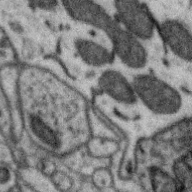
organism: Zebra finch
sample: Brain